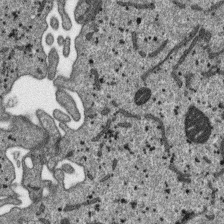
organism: Human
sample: Lung epithelial cells infected with SARS-CoV-2